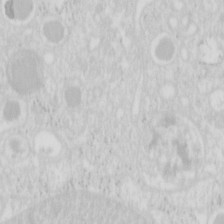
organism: Mouse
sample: Pancreas